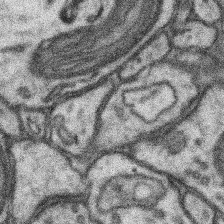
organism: Mouse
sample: Somatosensory cortex neuropil